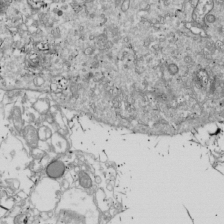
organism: Drosophila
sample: Cell division; meiosis; drosophila spermatocytes